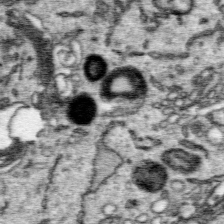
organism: Human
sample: HeLa cells